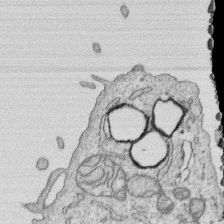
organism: Human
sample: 1205lu cells